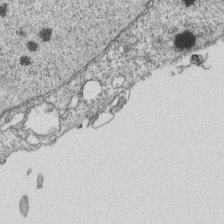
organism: Human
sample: HeLa cell HIV synapse